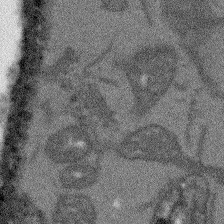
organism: Arabidopsis thaliana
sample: Root tip